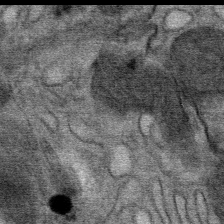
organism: Mouse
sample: Mouse Salivary gland